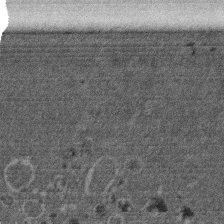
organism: Mouse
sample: Dividing mouse embryo 1 cell stage